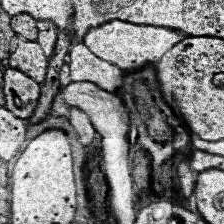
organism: Human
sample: Temporal Lobe